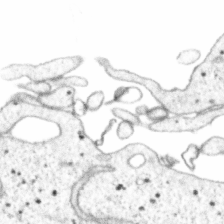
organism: Human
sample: HeLa cells